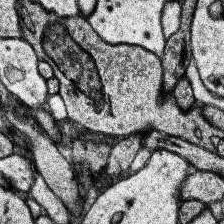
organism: Human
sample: Temporal Lobe